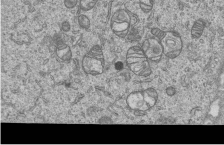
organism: Human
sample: MDA-MB-231 cells